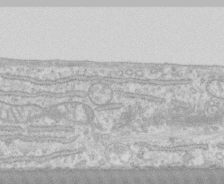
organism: Human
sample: CRL-1474